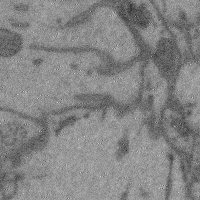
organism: Mouse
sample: Cerebral cortex